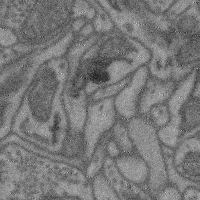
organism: Mouse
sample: Cerebral cortex